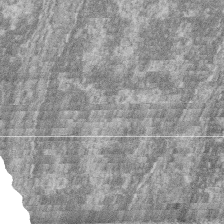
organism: Zebrafish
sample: Cilia; retinal pigment epithelium